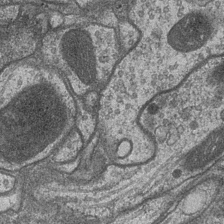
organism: Drosophila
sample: Optic medulla